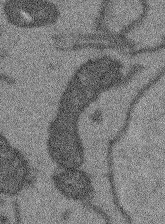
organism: Arabidopsis thaliana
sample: Root tip